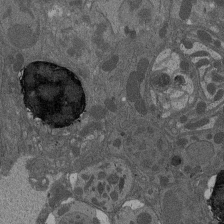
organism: Drosophila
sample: Antenna